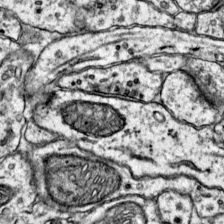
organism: Mouse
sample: Primary visual cortex